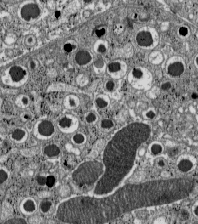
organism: C57BL Mouse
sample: Pancreatic islet